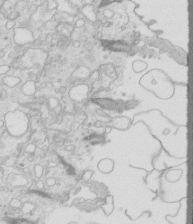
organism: Mouse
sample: Multiciliated cells